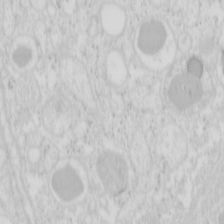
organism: Mouse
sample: Pancreas